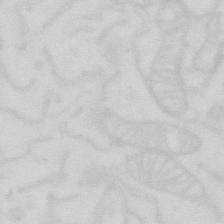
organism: Human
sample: HeLa cells